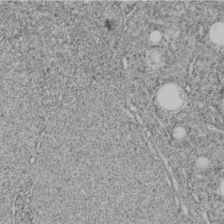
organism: C. elegans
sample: C. elegans embryo early stage